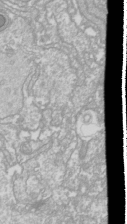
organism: Drosophila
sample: Cell division; meiosis; drosophila spermatocytes